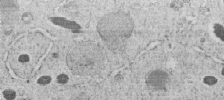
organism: C. elegans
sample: C. elegans embryo early stage